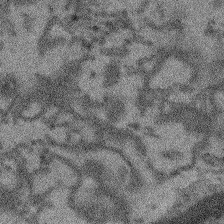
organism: Arabidopsis thaliana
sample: Root tip